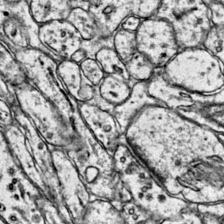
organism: Mouse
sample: Primary visual cortex